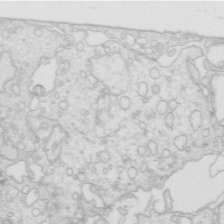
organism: Mouse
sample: Multiciliated cells